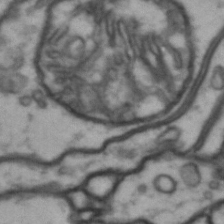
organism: Drosophila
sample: Brain